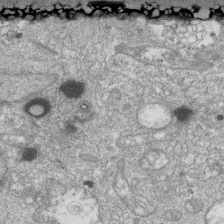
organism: Human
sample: HeLa cell HIV synapse